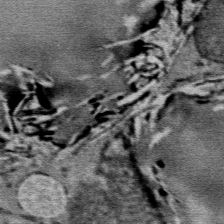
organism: Mouse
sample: Mouse Salivary gland